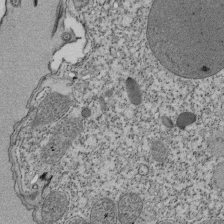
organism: Tetrahymena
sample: Cilia in tetrahymena